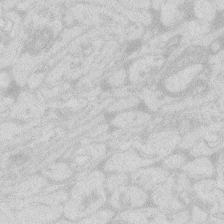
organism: Zebrafish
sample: Macrophage